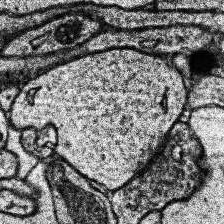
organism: Human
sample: Temporal Lobe